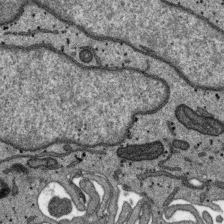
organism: Human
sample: Lung epithelial cells, uninfected (mock) control